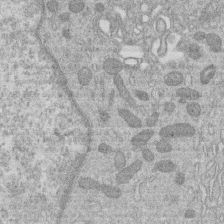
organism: Human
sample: Macrophage cells